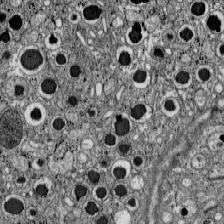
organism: C57BL Mouse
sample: Pancreatic islet